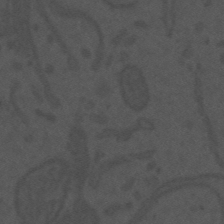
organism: Mouse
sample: Suprachiasmatic nucleus